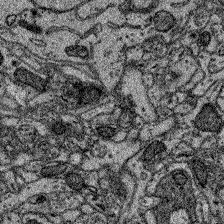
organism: Zebrafish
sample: Larval olfactory bulb